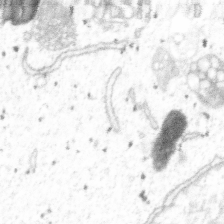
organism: Human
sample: HeLa cells